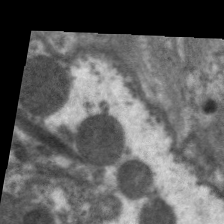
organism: C. elegans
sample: Pharynx